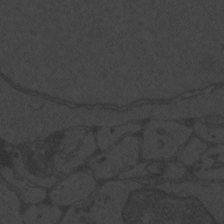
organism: Zebrafish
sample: Macrophage infected with Toxoplasma gondii